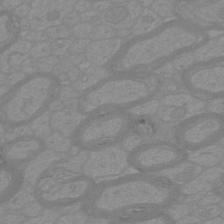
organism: Mouse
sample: Cortical neurons